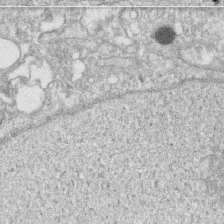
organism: Human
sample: HeLa cell HIV synapse